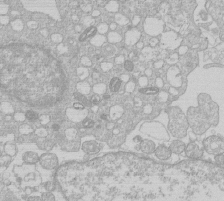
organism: Human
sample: Macrophage cells